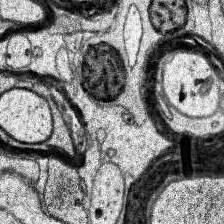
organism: Human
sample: Temporal Lobe